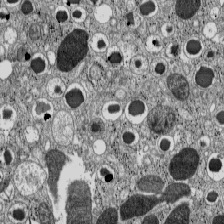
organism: C57BL Mouse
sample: Pancreatic islet